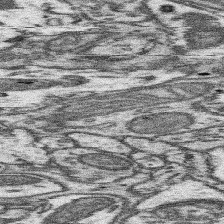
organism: Mouse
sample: Somatosensory cortex neuropil